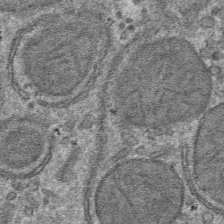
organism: Mouse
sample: Mouse hepatocytes